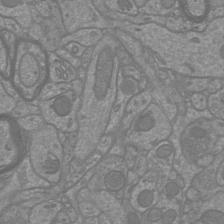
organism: Mouse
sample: Cortical neurons